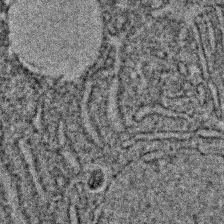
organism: C. elegans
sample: C. elegans embryo